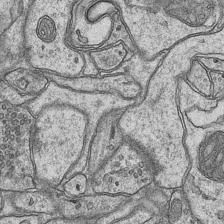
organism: Mouse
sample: CA1 Hippocampus